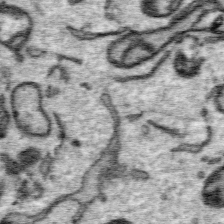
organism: Human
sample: HeLa cells